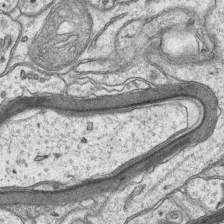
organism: Mouse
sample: CA1 Hippocampus